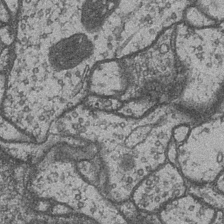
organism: Drosophila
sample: Optic medulla